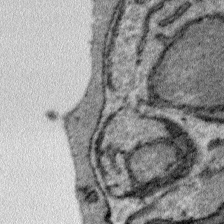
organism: Plasmodium falciparum